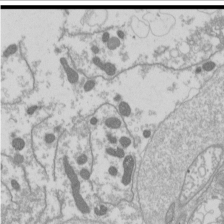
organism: Drosophila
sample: Cell division; meiosis; drosophila spermatocytes